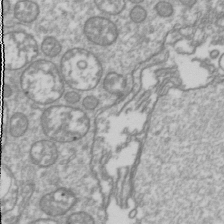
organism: Drosophila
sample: Cell division; meiosis; drosophila spermatocytes